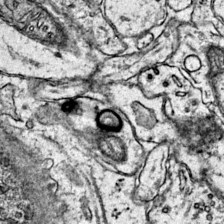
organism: Mouse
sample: Primary visual cortex